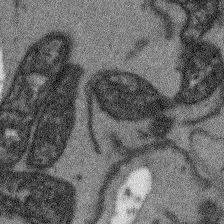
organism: Arabidopsis thaliana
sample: Root tip